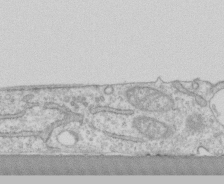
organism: Human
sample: CRL-1474